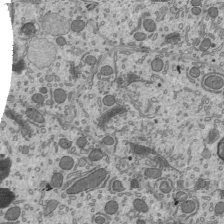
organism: Mouse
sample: Mouse epididymis efferent ductule cilia